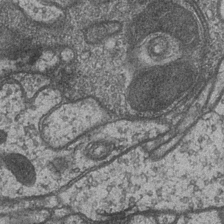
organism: Drosophila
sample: Optic medulla